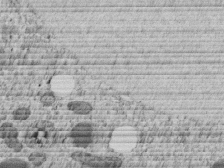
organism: C. elegans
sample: C. elegans embryo early stage